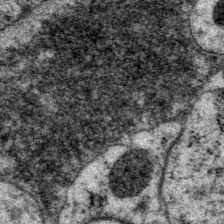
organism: P. pacificus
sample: Pharynx